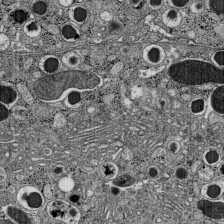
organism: C57BL Mouse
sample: Pancreatic islet